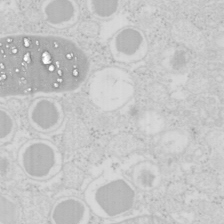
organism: Mouse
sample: Pancreas